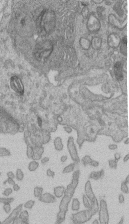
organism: Human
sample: Retinal organoid Rod and Cone cells